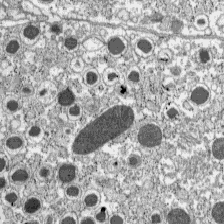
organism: C57BL Mouse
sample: Pancreatic islet